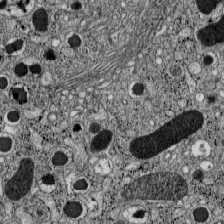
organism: C57BL Mouse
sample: Pancreatic islet